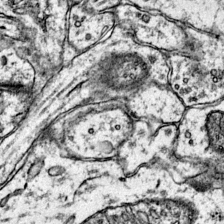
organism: Mouse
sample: Primary visual cortex